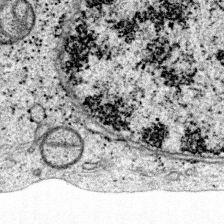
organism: Human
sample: HeLa cells